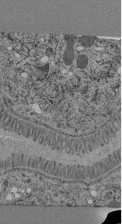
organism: C. elegans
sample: C. elegans pharynx